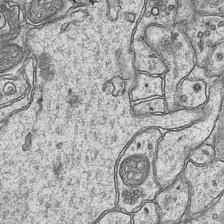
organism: Mouse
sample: CA1 Hippocampus